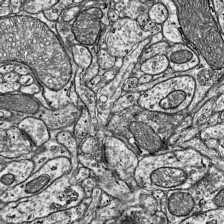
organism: Mouse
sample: Visual Cortex